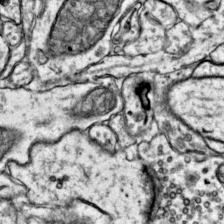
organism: Mouse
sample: Primary visual cortex